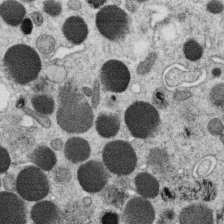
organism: C. elegans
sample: C. elegans oocyte; sperm cells